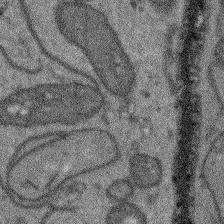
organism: Arabidopsis thaliana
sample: Root tip